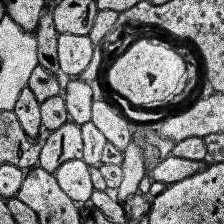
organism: Human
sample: Temporal Lobe